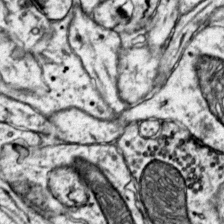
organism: Mouse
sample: Primary visual cortex